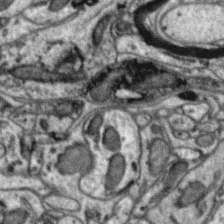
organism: Zebra finch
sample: Brain